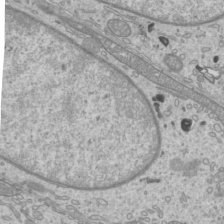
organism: Mouse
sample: Cilia; mouse epididymis